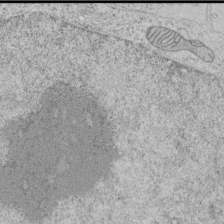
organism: Human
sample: Mitochondria in HCT116 cells